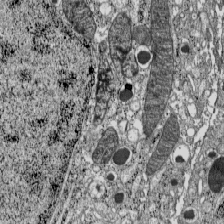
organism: C57BL Mouse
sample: Pancreatic islet